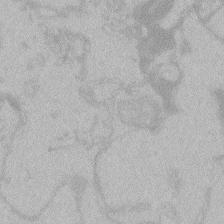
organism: Zebrafish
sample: Macrophage infected with Toxoplasma gondii